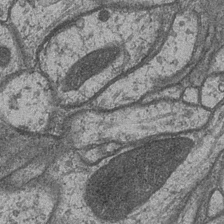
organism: Drosophila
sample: Optic medulla